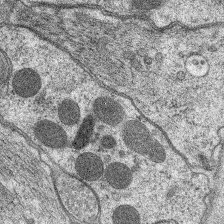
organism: C. elegans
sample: Pharynx